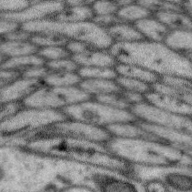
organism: Zebra finch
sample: Brain